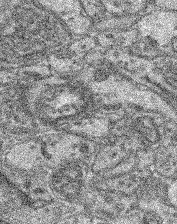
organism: Mouse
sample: Retina